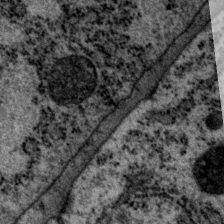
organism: P. pacificus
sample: Pharynx